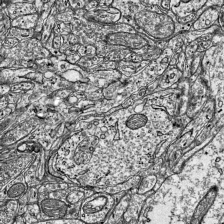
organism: Mouse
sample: Visual Cortex